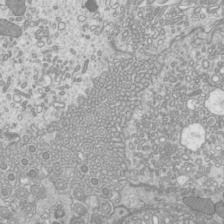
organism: Mouse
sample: Cilia; mouse epididymis